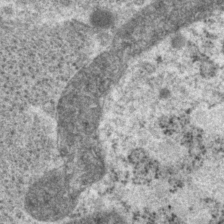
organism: P. pacificus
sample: Pharynx